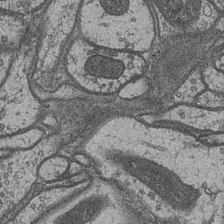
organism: Drosophila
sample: Optic medulla